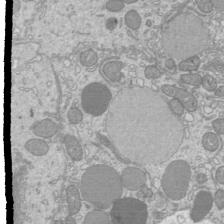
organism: Mouse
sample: Cilia; mouse epididymis